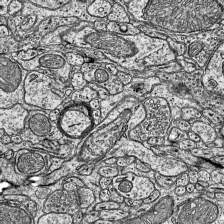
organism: Mouse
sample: Visual Cortex